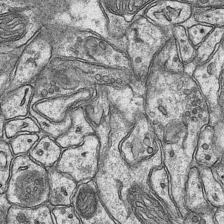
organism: Mouse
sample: CA1 Hippocampus